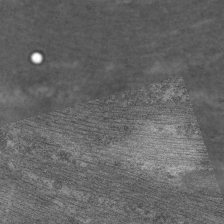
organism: C. elegans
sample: Pharynx